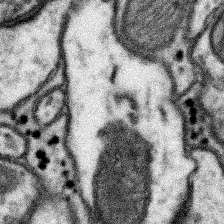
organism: Mouse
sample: Somatosensory cortex neuropil